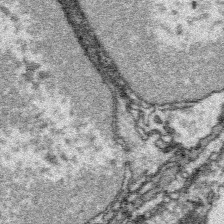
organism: Platynereis dumerilii